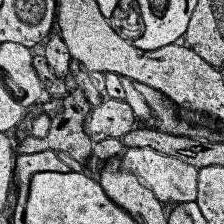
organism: Human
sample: Temporal Lobe